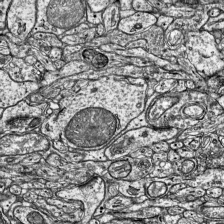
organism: Mouse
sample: Visual Cortex